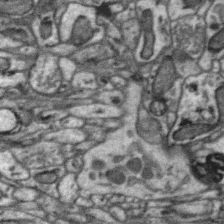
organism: Zebra finch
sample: Brain